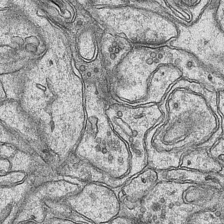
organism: Mouse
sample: CA1 Hippocampus